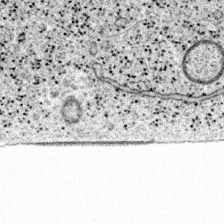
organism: Human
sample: HeLa cells